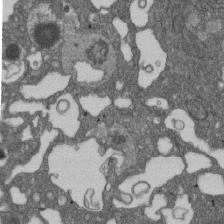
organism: Drosophila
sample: Nephrocyte